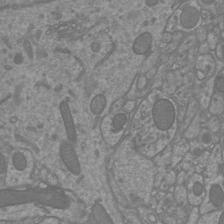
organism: Mouse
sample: Cortical neurons